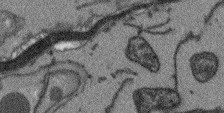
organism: Arabidopsis thaliana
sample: Root tip